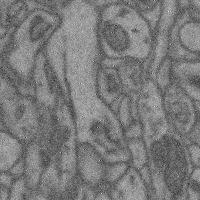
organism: Mouse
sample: Cerebral cortex